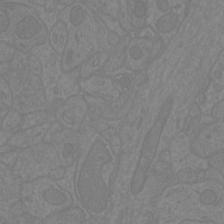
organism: Mouse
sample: Cortical neurons